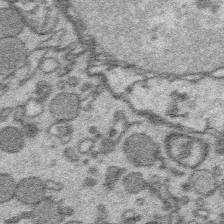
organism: Platynereis dumerilii